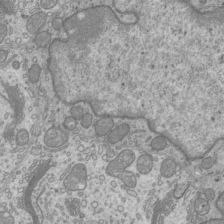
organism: Mouse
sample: Cilia; mouse epididymis